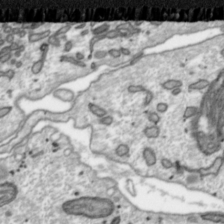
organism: Toxoplasma gondii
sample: Parasites in a vacuole inside a host cell